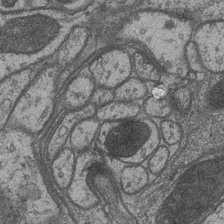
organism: Drosophila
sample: Optic medulla